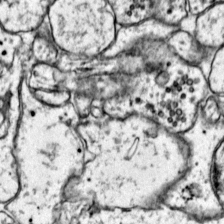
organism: Mouse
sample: Primary visual cortex